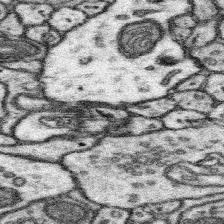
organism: Mouse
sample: Somatosensory cortex neuropil